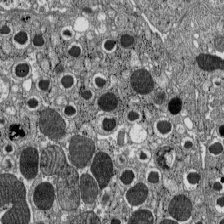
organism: C57BL Mouse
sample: Pancreatic islet